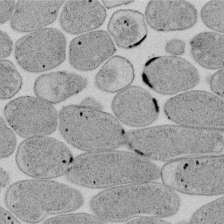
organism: E. coli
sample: Bacterial nucleoid